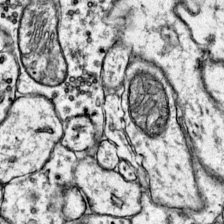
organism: Mouse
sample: Primary visual cortex